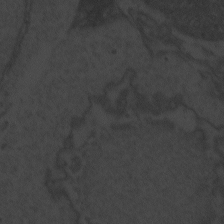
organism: Zebrafish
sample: Macrophage infected with Toxoplasma gondii